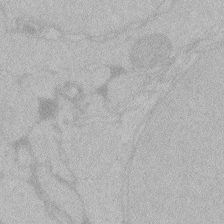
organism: Zebrafish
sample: Macrophage infected with Toxoplasma gondii